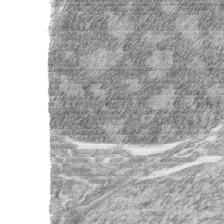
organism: Zebrafish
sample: synaptic ribbons in rod cells and cone cells